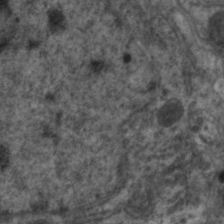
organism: C. elegans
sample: Pharynx